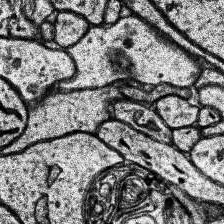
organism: Human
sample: Temporal Lobe